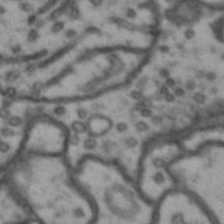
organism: Drosophila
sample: Brain